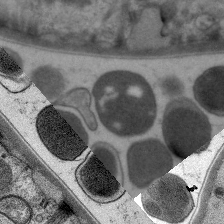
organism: C. elegans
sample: Pharynx